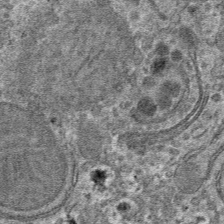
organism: Mouse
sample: Mouse hepatocytes